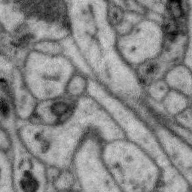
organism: Zebra finch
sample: Brain